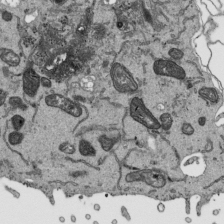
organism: Human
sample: Mitochondria in HCT116 cells